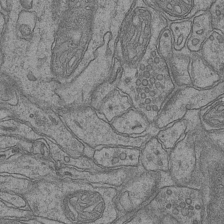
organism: Mouse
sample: CA1 Hippocampus